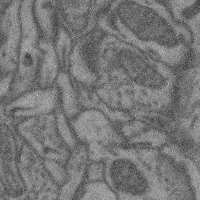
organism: Mouse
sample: Cerebral cortex